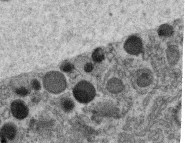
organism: C. elegans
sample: C. elegans oocyte; sperm cells